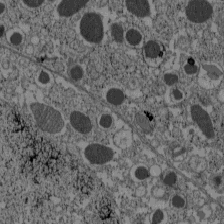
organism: C57BL Mouse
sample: Pancreatic islet